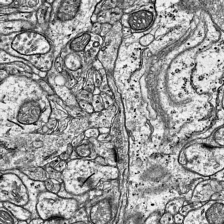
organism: Mouse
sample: Visual Cortex